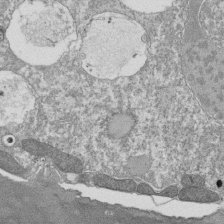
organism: Tetrahymena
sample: Cilia in tetrahymena